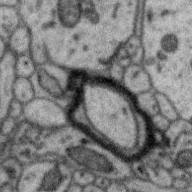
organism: Zebra finch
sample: Brain